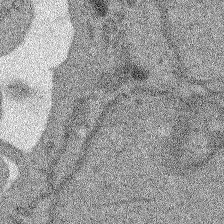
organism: Human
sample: HeLa cells